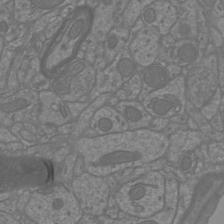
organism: Mouse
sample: Cortical neurons